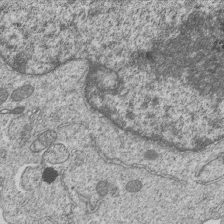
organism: Human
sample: MDA-MB-231 cells